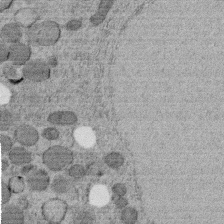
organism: C. elegans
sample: C. elegans embryo early stage